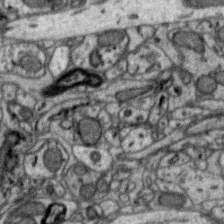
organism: Zebra finch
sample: Brain